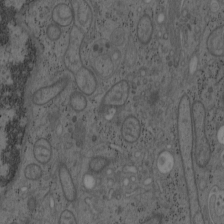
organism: Mouse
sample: OT-I killer T cells with ID8 ovarian cancer cells